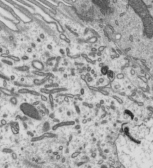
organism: Mouse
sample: Mouse epididymis efferent ductule cilia